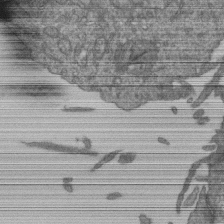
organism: Human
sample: Retinal organoid Rod and Cone cells